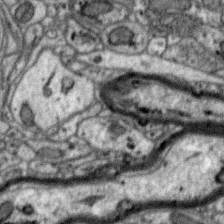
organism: Zebra finch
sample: Brain